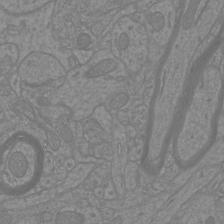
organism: Mouse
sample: Cortical neurons